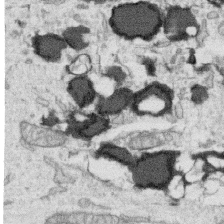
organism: Human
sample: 1205lu cells